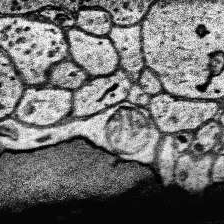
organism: Human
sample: Temporal Lobe